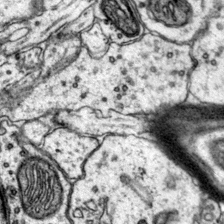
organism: Mouse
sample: Primary visual cortex